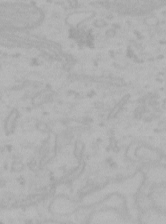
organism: Mouse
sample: Choroid plexus